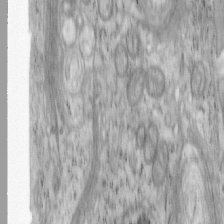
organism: Human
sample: HeLa cells